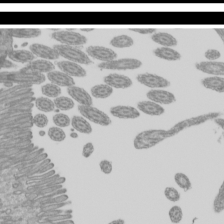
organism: Mouse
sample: Cilia; mouse epididymis